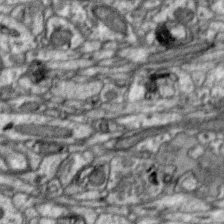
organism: Zebra finch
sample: Brain